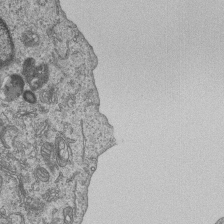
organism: Human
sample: MDA-MB-231 cells